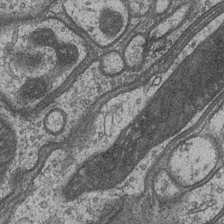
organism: Drosophila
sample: Optic medulla